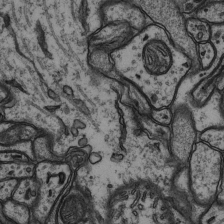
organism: Rat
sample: Hippocampus